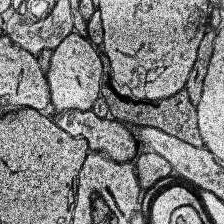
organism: Human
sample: Temporal Lobe